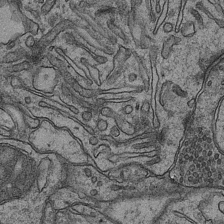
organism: Mouse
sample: CA1 Hippocampus